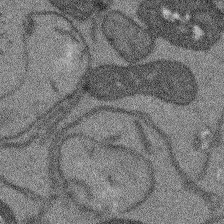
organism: Arabidopsis thaliana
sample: Root tip